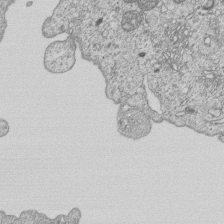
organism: Human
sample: MDA-MB-231 cells